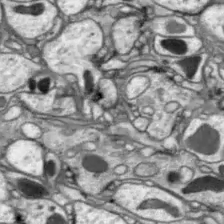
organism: Drosophila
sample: Optic lobe